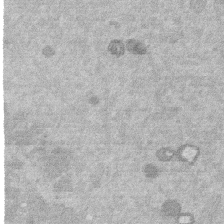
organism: Mouse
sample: Dividing mouse embryo 1 cell stage